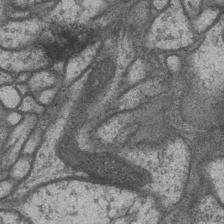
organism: Drosophila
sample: Optic medulla